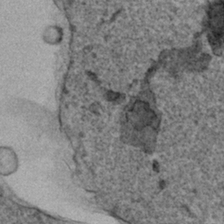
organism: Human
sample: Mitochondria in HCT116 cells